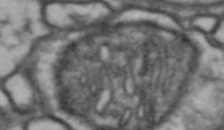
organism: Drosophila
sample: Brain